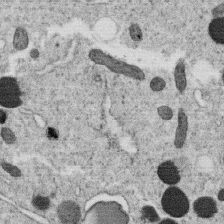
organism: C. elegans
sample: C. elegans oocyte; sperm cells